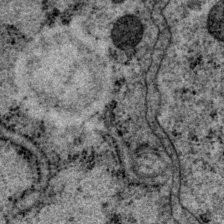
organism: P. pacificus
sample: Pharynx